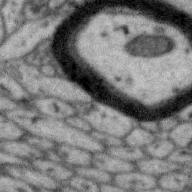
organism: Zebra finch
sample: Brain